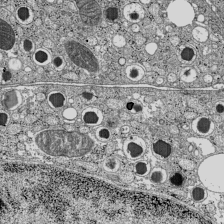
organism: C57BL Mouse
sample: Pancreatic islet